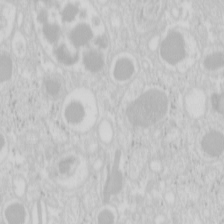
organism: Mouse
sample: Pancreas